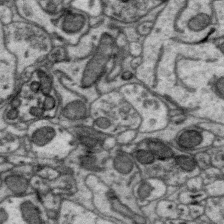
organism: Zebra finch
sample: Brain